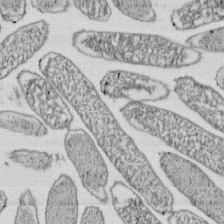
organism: E. coli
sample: Bacterial nucleoid